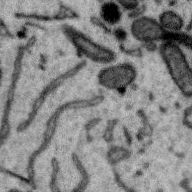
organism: Zebra finch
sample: Brain